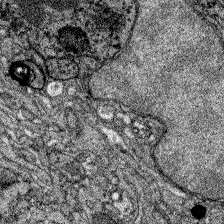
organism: Zebrafish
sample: Larval olfactory bulb